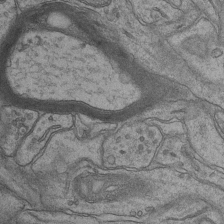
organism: Mouse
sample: CA1 Hippocampus